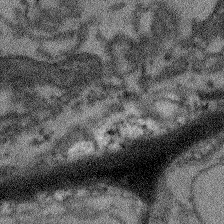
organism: Arabidopsis thaliana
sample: Root tip